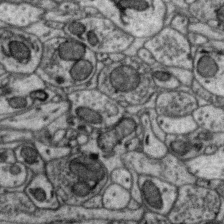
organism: Zebra finch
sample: Brain